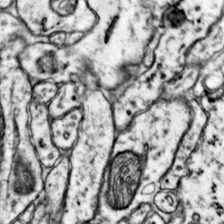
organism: Mouse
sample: Primary visual cortex